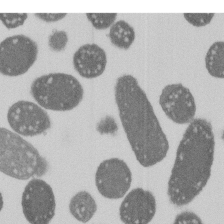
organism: E. coli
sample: Bacterial nucleoid